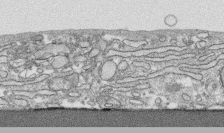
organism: Human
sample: CRL-1474